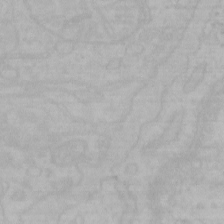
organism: Mouse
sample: Choroid plexus